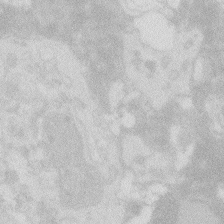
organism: Zebrafish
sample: Macrophage